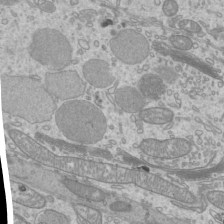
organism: Mouse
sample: Cilia; mouse epididymis